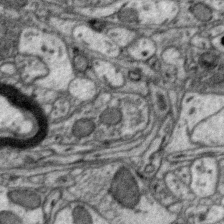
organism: Zebra finch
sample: Brain